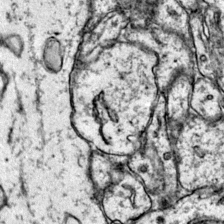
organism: Mouse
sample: Primary visual cortex